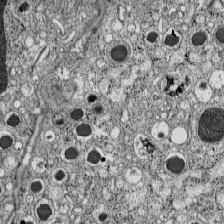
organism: C57BL Mouse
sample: Pancreatic islet